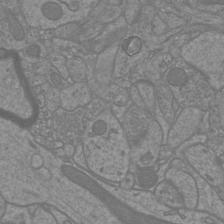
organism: Mouse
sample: Cortical neurons